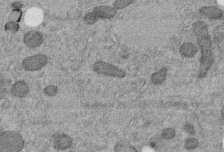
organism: C. elegans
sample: C. elegans embryo early stage